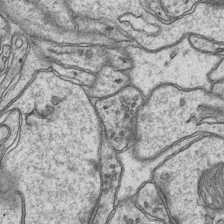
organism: Mouse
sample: CA1 Hippocampus